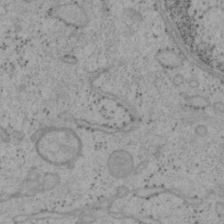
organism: Human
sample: HeLa cells